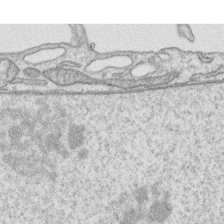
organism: Human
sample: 1205lu cells